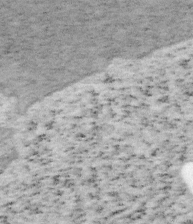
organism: Mouse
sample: OT-I killer T cells with ID8 ovarian cancer cells